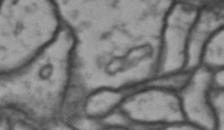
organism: Drosophila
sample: Brain